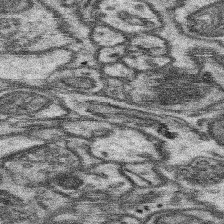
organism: Mouse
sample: Somatosensory cortex neuropil